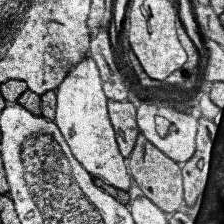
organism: Human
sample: Temporal Lobe